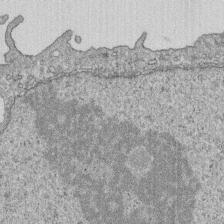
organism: Human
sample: HeLa cell HIV synapse